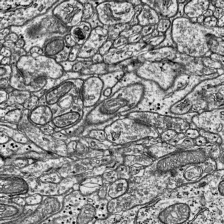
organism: Mouse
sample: Visual Cortex